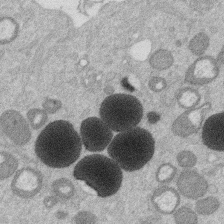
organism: Mouse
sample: Dividing mouse embryo 1 cell stage